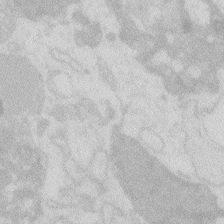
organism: Zebrafish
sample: Macrophage